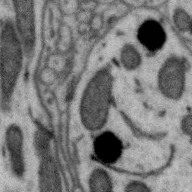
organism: Zebra finch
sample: Brain